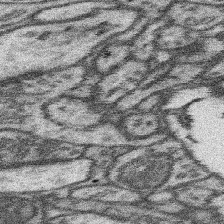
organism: Mouse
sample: Somatosensory cortex neuropil